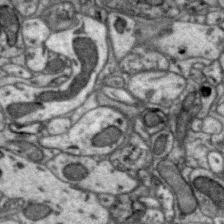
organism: Zebra finch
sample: Brain